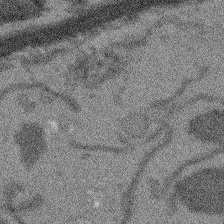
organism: Arabidopsis thaliana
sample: Root tip